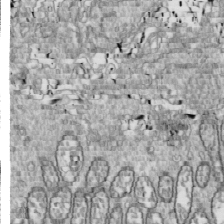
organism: Drosophila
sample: Cell division; meiosis; drosophila spermatocytes